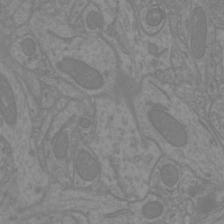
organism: Mouse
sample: Cortical neurons